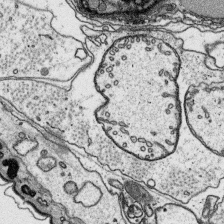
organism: Platynereis dumerilii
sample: Parapodia